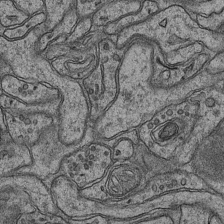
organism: Mouse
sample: CA1 Hippocampus